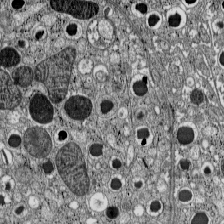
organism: C57BL Mouse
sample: Pancreatic islet